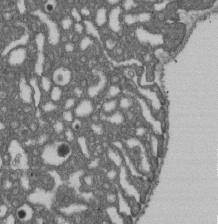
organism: Drosophila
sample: Nephrocyte